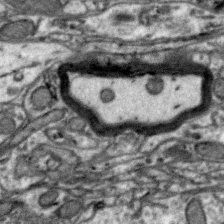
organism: Zebra finch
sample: Brain